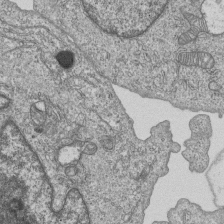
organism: Human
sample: MDA-MB-231 cells